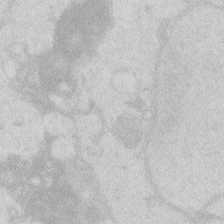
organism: Zebrafish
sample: Macrophage